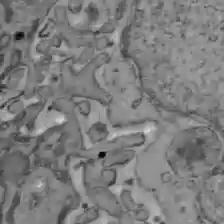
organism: C57BL Mouse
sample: Liver